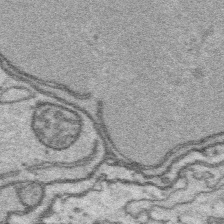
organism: Platynereis dumerilii